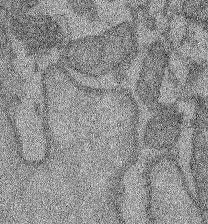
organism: Human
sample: HeLa cells